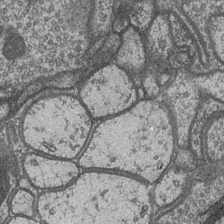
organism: Drosophila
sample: Optic medulla